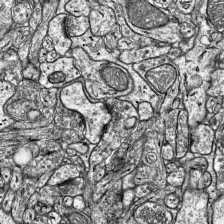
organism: Mouse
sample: Visual Cortex